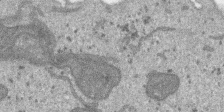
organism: Human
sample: Lung epithelial cells infected with SARS-CoV-2